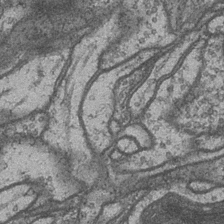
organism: Drosophila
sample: Optic medulla